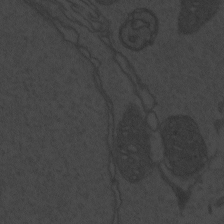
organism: Zebrafish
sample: Macrophage infected with Toxoplasma gondii